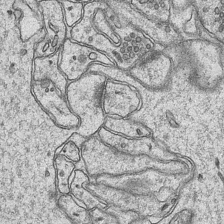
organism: Mouse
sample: CA1 Hippocampus